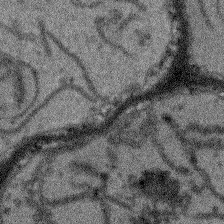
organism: Arabidopsis thaliana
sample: Root tip